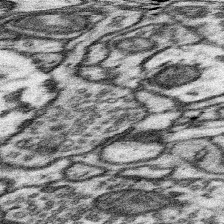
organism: Mouse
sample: Somatosensory cortex neuropil